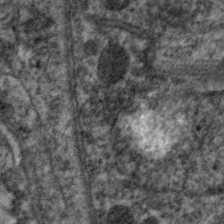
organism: C. elegans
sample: Pharynx